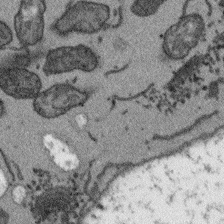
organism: Arabidopsis thaliana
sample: Root tip